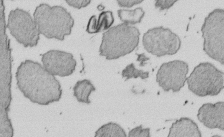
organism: E. coli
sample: Bacterial nucleoid